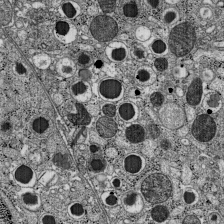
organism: C57BL Mouse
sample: Pancreatic islet